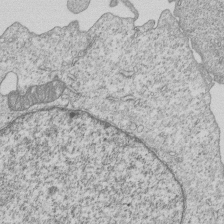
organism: Human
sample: MDA-MB-231 cells